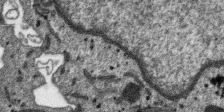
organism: Human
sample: Lung epithelial cells infected with SARS-CoV-2